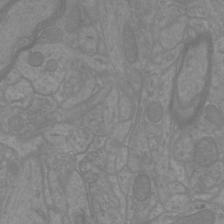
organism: Mouse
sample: Cortical neurons